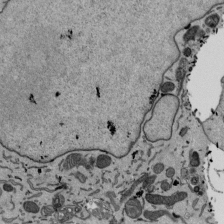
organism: Mouse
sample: ED-1 cell nuclei; centrioles